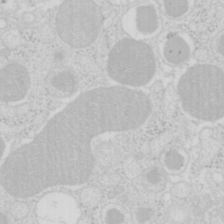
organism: Mouse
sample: Pancreas